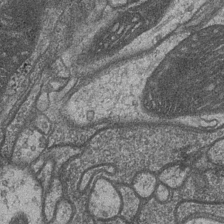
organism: Drosophila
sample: Optic medulla